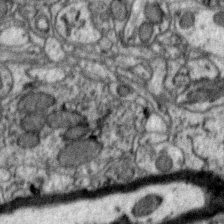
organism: Zebra finch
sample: Brain